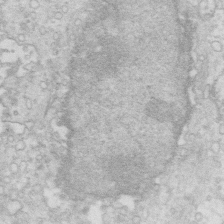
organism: Mouse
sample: Multiciliated cells